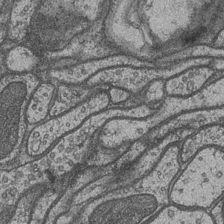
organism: Drosophila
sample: Optic medulla